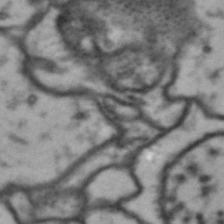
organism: Drosophila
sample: Brain